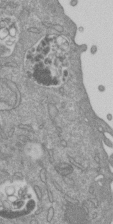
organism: Mouse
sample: ED-1 cell nuclei; centrioles